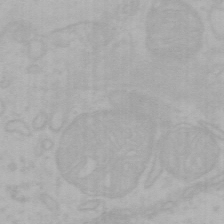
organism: Mouse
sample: Choroid plexus